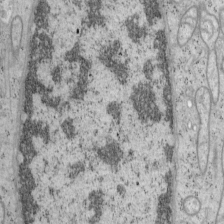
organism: Mouse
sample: OT-I killer T cells with ID8 ovarian cancer cells